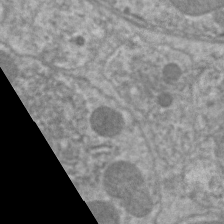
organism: C. elegans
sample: Pharynx